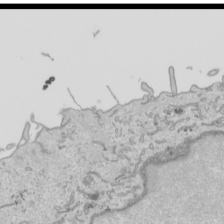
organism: Human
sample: Mitochondria in HCT116 cells